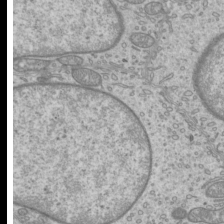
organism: Mouse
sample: Cilia; mouse epididymis